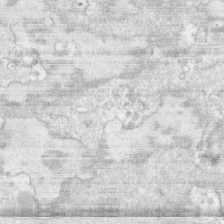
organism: Human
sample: CRL-1474